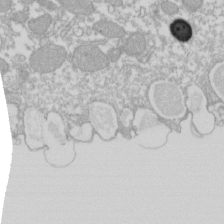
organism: Xenopus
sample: Cilia; centrioles in frog embryo cells